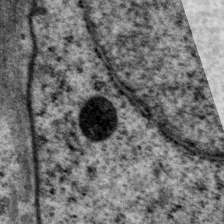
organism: P. pacificus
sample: Pharynx